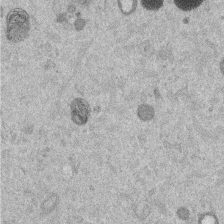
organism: Mouse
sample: Dividing mouse embryo 1 cell stage